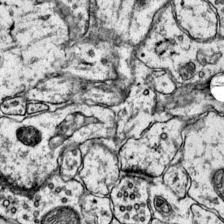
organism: Mouse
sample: Primary visual cortex